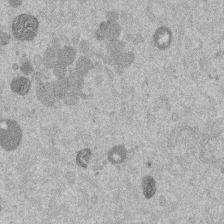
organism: Mouse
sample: Dividing mouse embryo 1 cell stage